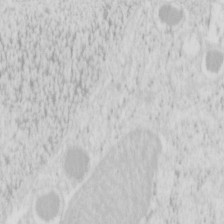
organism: Mouse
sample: Pancreas